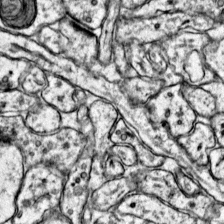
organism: Mouse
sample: Primary visual cortex